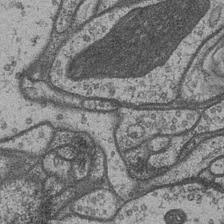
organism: Drosophila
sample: Optic medulla